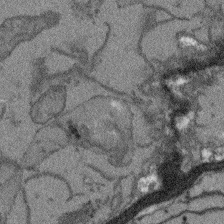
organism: Arabidopsis thaliana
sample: Root tip